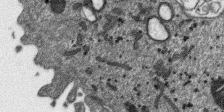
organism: Human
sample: Lung epithelial cells infected with SARS-CoV-2